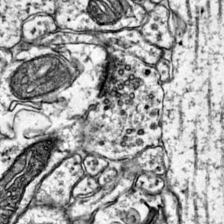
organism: Mouse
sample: Primary visual cortex